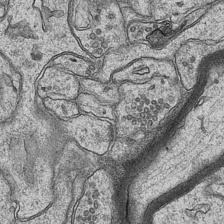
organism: Mouse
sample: CA1 Hippocampus